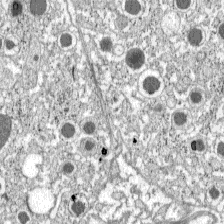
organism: C57BL Mouse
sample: Pancreatic islet